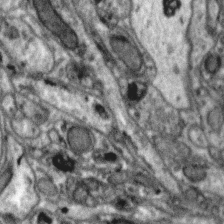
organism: Zebra finch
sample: Brain